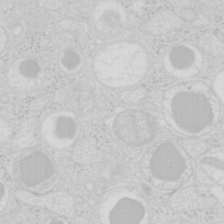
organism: Mouse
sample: Pancreas